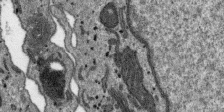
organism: Human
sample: Lung epithelial cells, uninfected (mock) control